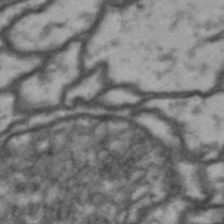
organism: Drosophila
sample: Brain